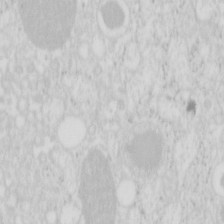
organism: Mouse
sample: Pancreas